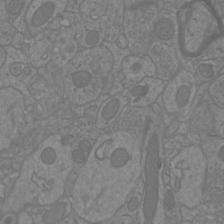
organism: Mouse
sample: Cortical neurons